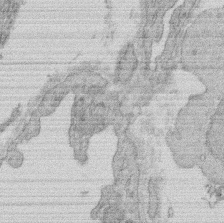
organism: Rat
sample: Salivary granule